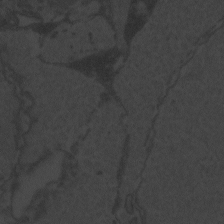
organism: Zebrafish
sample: Macrophage infected with Toxoplasma gondii